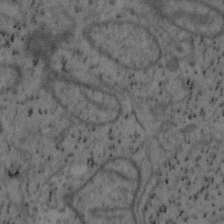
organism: Human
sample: HeLa cells